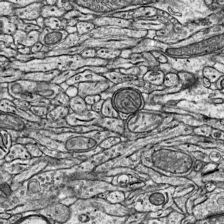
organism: Mouse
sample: Visual Cortex